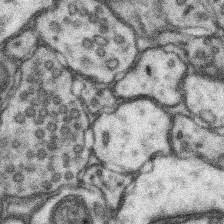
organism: Mouse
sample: Somatosensory cortex neuropil